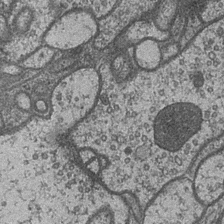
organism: Drosophila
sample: Optic medulla